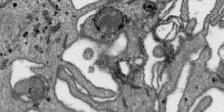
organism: Human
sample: Lung epithelial cells, uninfected (mock) control